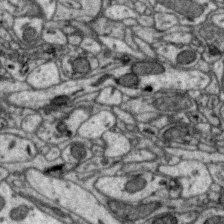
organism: Zebra finch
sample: Brain